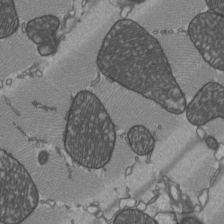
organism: C57BL Mouse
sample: Heart